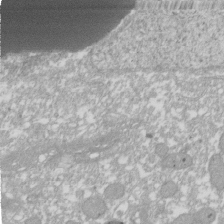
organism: Xenopus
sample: Cilia; centrioles in frog embryo cells